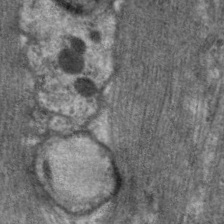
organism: C. elegans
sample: Pharynx